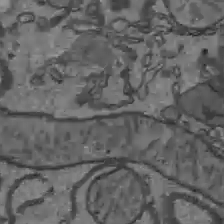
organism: C57BL Mouse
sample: Liver